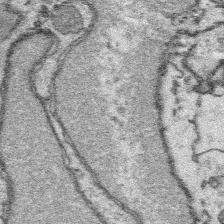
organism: Platynereis dumerilii